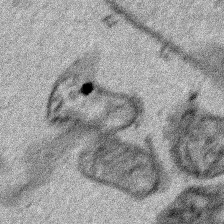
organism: Human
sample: Mitochondria in HCT116 cells